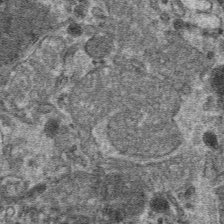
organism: Mouse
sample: Mouse hepatocytes